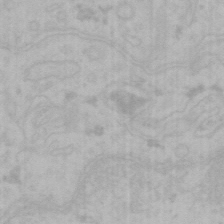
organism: Mouse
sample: Choroid plexus